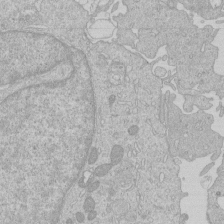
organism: Human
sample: Macrophage cells